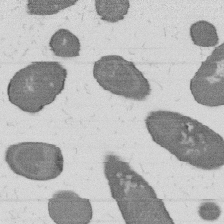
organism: B. subtilis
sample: Bacterial spore